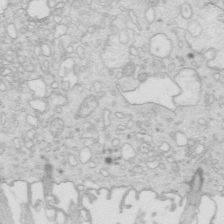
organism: Mouse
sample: Multiciliated cells